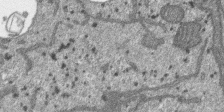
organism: Human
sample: Lung epithelial cells infected with SARS-CoV-2